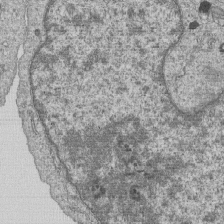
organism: Human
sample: MDA-MB-231 cells